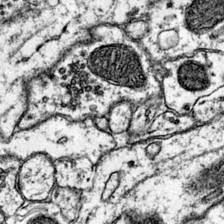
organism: Mouse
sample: Primary visual cortex